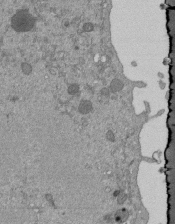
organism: Mouse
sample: ED-1 cell nuclei; centrioles